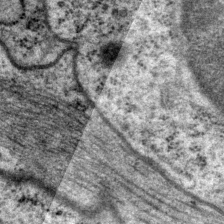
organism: P. pacificus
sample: Pharynx